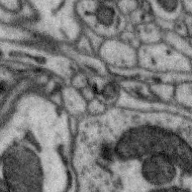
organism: Zebra finch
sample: Brain